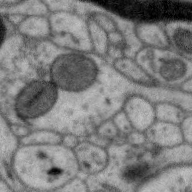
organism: Zebra finch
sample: Brain